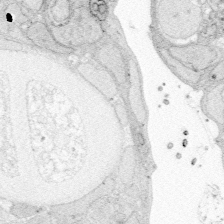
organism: Zebrafish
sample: Whole-Brain